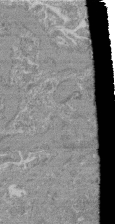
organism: Mouse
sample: Glomerulus